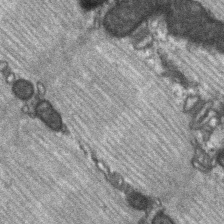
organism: C57BL Mouse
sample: Soleus